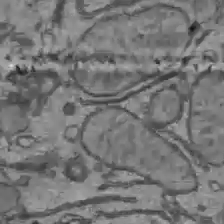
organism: C57BL Mouse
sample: Liver